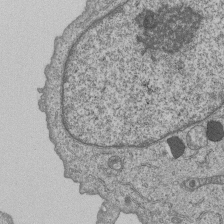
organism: Human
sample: MDA-MB-231 cells